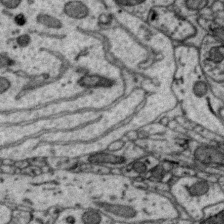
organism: Zebra finch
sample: Brain